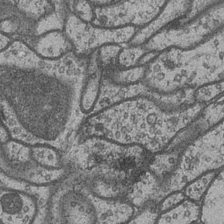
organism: Drosophila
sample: Optic medulla